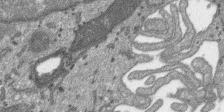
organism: Human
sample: Lung epithelial cells infected with SARS-CoV-2